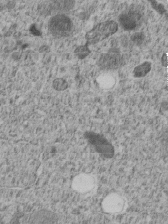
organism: C. elegans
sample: C. elegans embryo early stage